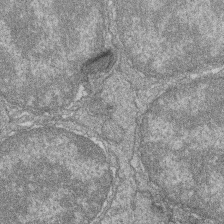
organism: Zebrafish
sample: Cilia; retinal pigment epithelium